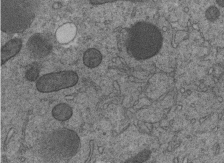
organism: C. elegans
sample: C. elegans embryo early stage